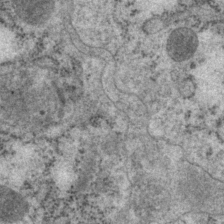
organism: P. pacificus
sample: Pharynx